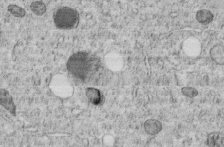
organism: C. elegans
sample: C. elegans embryo early stage